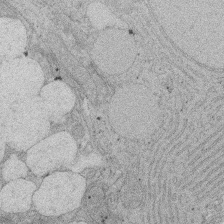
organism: Rat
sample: Salivary granule